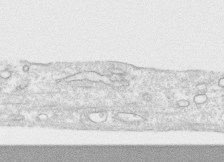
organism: Human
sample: CRL-1474